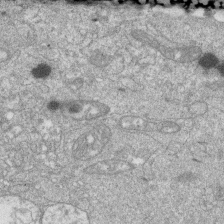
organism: Human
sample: HeLa cell HIV synapse